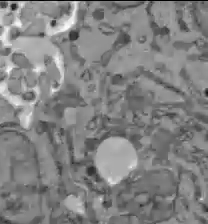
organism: C57BL Mouse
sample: Liver